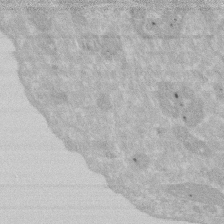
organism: Human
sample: HIV infected U937 cells